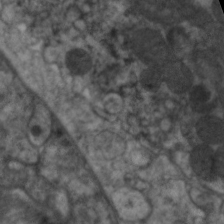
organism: C. elegans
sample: Pharynx